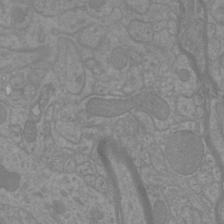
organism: Mouse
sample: Cortical neurons